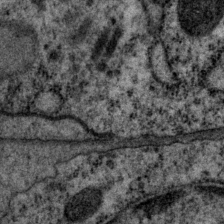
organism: P. pacificus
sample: Pharynx